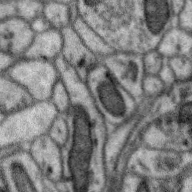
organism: Zebra finch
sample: Brain